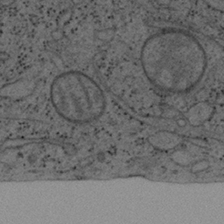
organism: Human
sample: HeLa cells